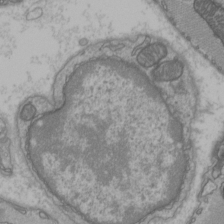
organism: C57BL Mouse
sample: Heart